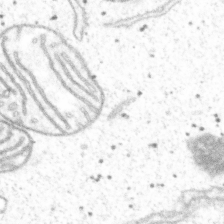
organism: Human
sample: HeLa cells